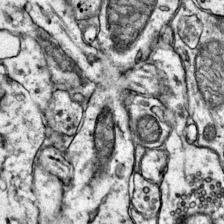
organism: Mouse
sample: Primary visual cortex